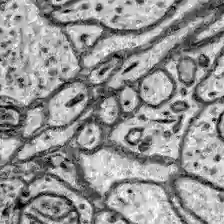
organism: Zebrafish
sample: Brain